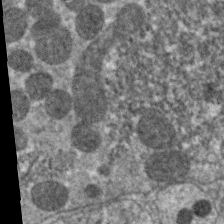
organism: C. elegans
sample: Pharynx